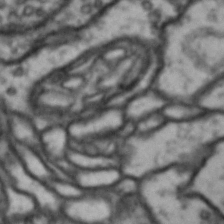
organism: Drosophila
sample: Brain